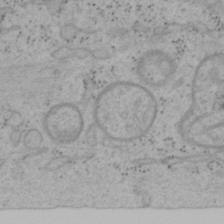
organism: Human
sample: HeLa cells